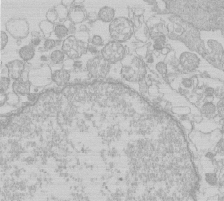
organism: Human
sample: Macrophage cells